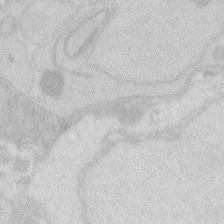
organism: Zebrafish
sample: Macrophage